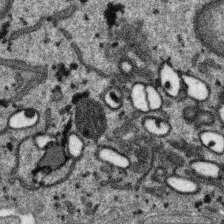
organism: Human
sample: Lung epithelial cells infected with SARS-CoV-2